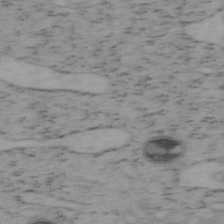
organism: Mouse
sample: OT-I killer T cells with ID8 ovarian cancer cells